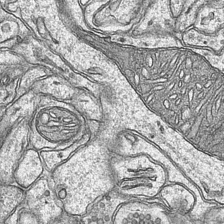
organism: Mouse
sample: CA1 Hippocampus